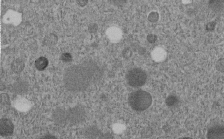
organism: C. elegans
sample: C. elegans embryo early stage